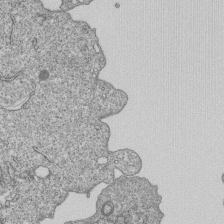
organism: Human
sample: MDA-MB-231 cells